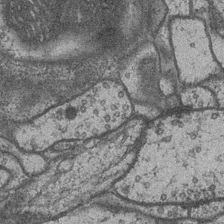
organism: Drosophila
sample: Optic medulla